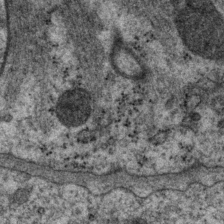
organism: P. pacificus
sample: Pharynx